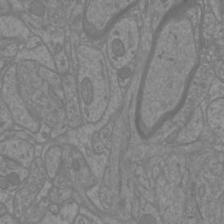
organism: Mouse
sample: Cortical neurons